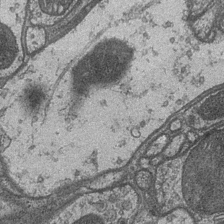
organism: Drosophila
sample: Optic medulla